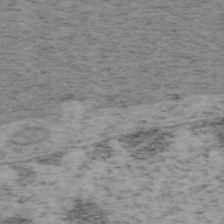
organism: Mouse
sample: OT-I killer T cells with ID8 ovarian cancer cells